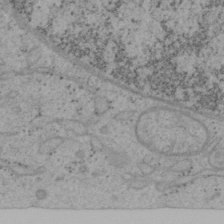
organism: Human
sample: HeLa cells